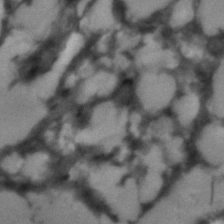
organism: C. elegans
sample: C. elegans embryo